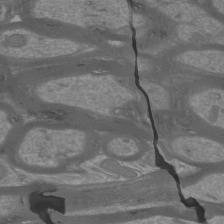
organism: Mouse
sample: Cortical neurons